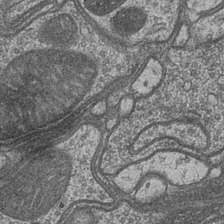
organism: Drosophila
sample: Optic medulla